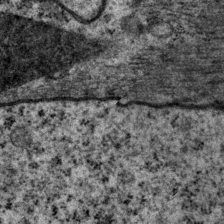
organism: P. pacificus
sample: Pharynx